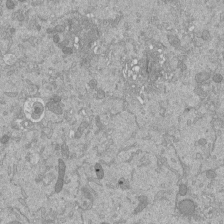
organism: Mouse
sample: ED-1 cell nuclei; centrioles